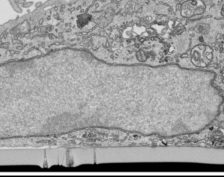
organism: Human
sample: Mitochondria in HCT116 cells